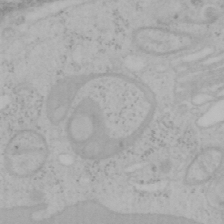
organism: Mouse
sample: OT-I killer T cells with ID8 ovarian cancer cells